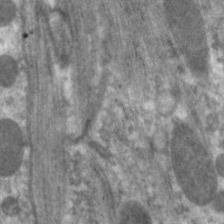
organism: C. elegans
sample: Pharynx